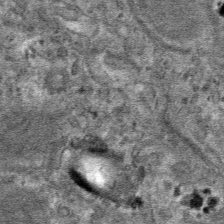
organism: Mouse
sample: Mouse hepatocytes